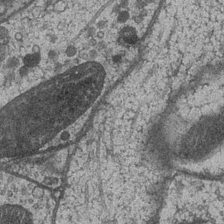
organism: Drosophila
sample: Optic medulla